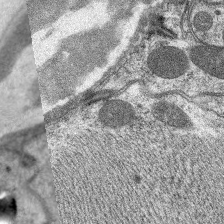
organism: C. elegans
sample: Pharynx